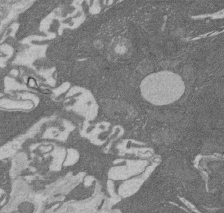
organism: Rat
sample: Salivary granule